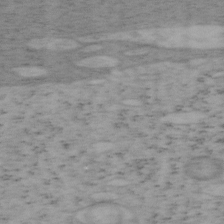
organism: Mouse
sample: OT-I killer T cells with ID8 ovarian cancer cells